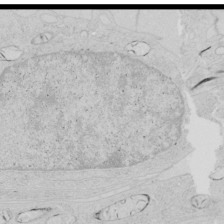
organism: Human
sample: Mitochondria in HCT116 cells